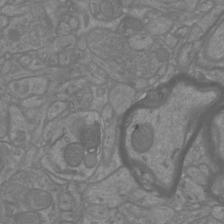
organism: Mouse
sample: Cortical neurons